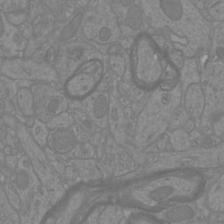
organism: Mouse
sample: Cortical neurons